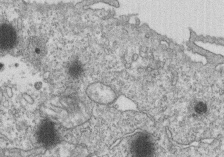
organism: Human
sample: HeLa cell HIV synapse